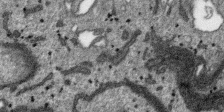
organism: Human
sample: Lung epithelial cells, uninfected (mock) control